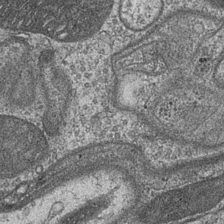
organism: Drosophila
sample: Optic medulla